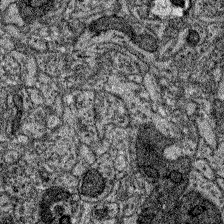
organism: Zebrafish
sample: Larval olfactory bulb